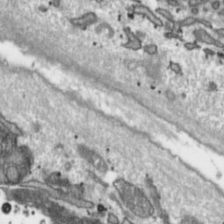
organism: Toxoplasma gondii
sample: Parasites in a vacuole inside a host cell